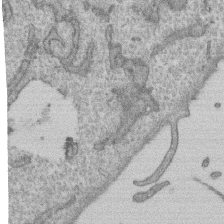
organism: Human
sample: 1205lu cells